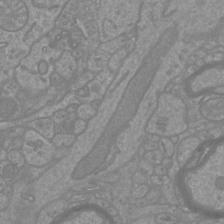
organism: Mouse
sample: Cortical neurons